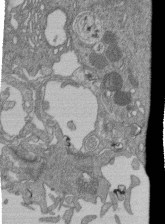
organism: Human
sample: Retinal organoid Rod and Cone cells